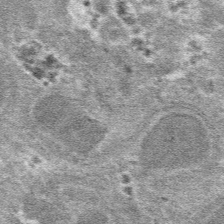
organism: Mouse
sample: Mouse hepatocytes